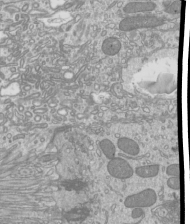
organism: Mouse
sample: Cilia; mouse epididymis